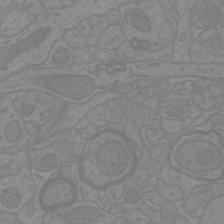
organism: Mouse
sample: Cortical neurons